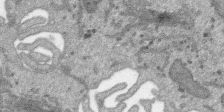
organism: Human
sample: Lung epithelial cells infected with SARS-CoV-2